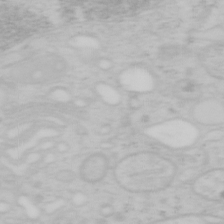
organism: Mouse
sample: OT-I killer T cells with ID8 ovarian cancer cells